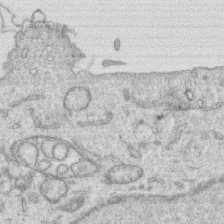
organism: Human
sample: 1205lu cells